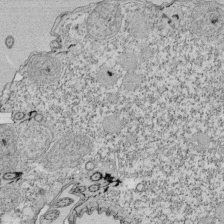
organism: Tetrahymena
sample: Cilia in tetrahymena